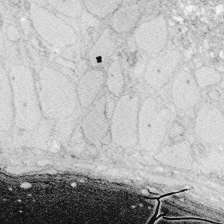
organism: Zebrafish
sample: Whole-Brain